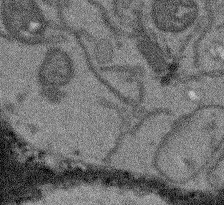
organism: Arabidopsis thaliana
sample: Root tip